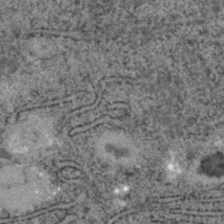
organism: C. elegans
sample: C. elegans embryo